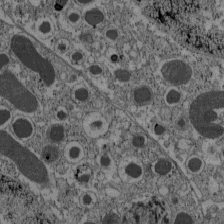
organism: C57BL Mouse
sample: Pancreatic islet